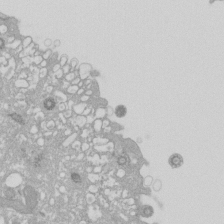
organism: Xenopus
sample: Cilia; centrioles in frog embryo cells